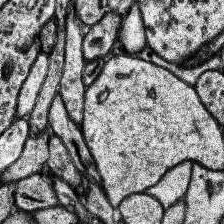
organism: Human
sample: Temporal Lobe